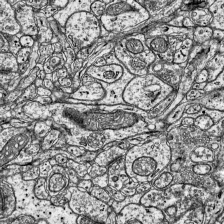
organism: Mouse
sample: Visual Cortex